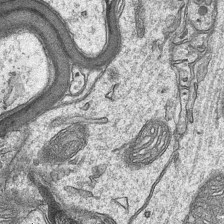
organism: Mouse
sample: CA1 Hippocampus